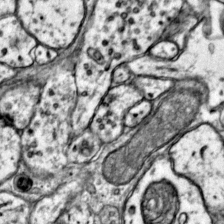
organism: Mouse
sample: Primary visual cortex